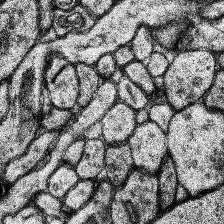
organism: Human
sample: Temporal Lobe